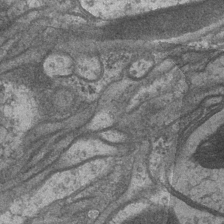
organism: Drosophila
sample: Optic medulla